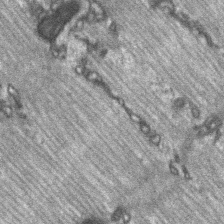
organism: C57BL Mouse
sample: Soleus